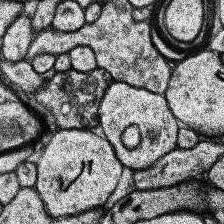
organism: Human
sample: Temporal Lobe